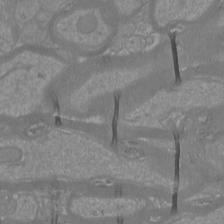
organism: Mouse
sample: Cortical neurons